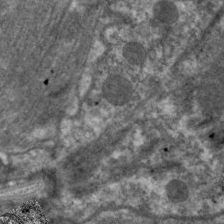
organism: C. elegans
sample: Pharynx